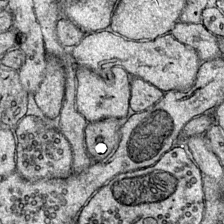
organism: Mouse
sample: Primary visual cortex